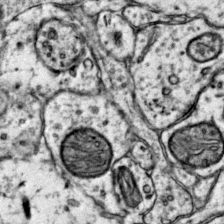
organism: Mouse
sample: Primary visual cortex